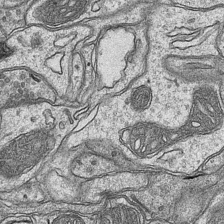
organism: Mouse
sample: CA1 Hippocampus